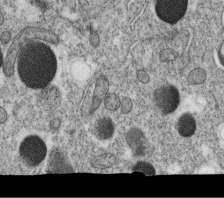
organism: C. elegans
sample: C. elegans oocyte; sperm cells